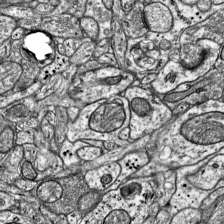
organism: Mouse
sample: Visual Cortex